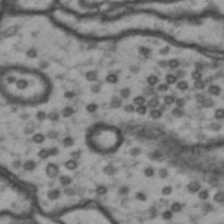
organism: Drosophila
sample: Brain